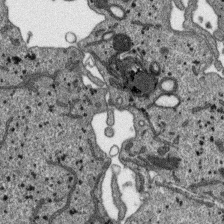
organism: Human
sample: Lung epithelial cells infected with SARS-CoV-2